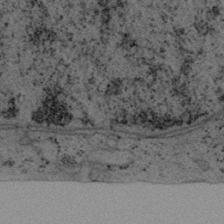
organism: Human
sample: HeLa cells